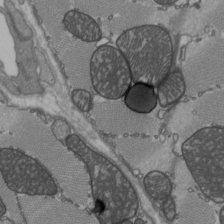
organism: C57BL Mouse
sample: Heart